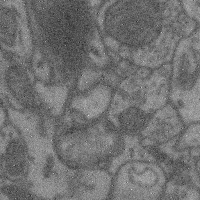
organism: Mouse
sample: Cerebral cortex